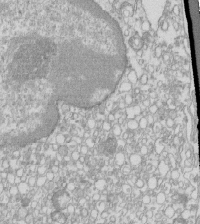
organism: Mouse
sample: Macrophages